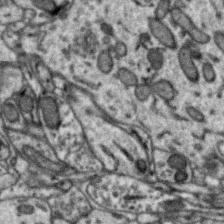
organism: Zebra finch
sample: Brain